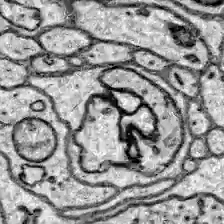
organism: Zebrafish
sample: Brain